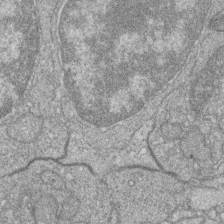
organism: Zebrafish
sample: Cilia; retinal pigment epithelium